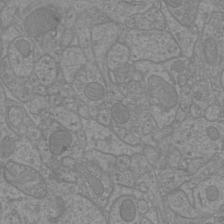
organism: Mouse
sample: Cortical neurons